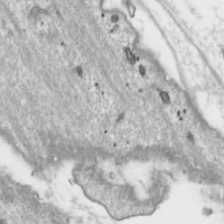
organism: Toxoplasma gondii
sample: Parasites in a vacuole inside a host cell